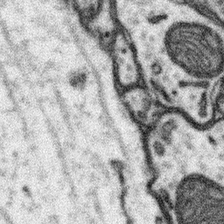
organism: Mouse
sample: Somatosensory cortex neuropil